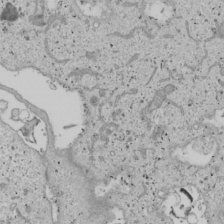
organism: Human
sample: Mitochondria in U2OS cells